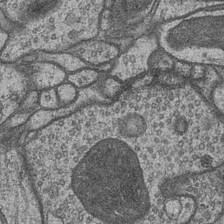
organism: Drosophila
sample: Optic medulla